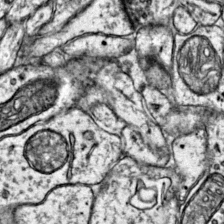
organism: Mouse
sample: Primary visual cortex